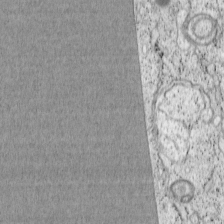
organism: African green monkey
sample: COS-7 cells